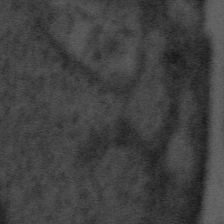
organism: Tuwongella immobilis